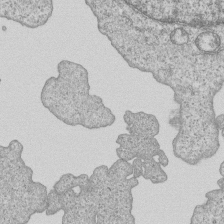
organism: Human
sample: MDA-MB-231 cells